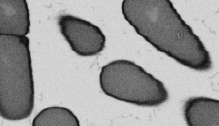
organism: B. subtilis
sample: Bacterial spore